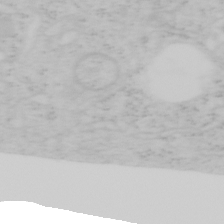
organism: Mouse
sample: OT-I killer T cells with ID8 ovarian cancer cells